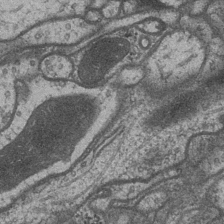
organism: Drosophila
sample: Optic medulla